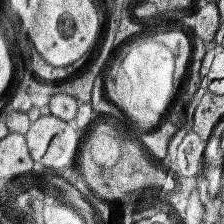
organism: Human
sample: Temporal Lobe